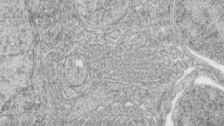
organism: Zebrafish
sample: synaptic ribbons in rod cells and cone cells